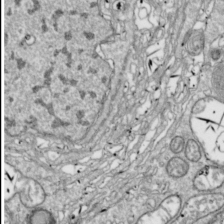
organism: Drosophila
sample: Cell division; meiosis; drosophila spermatocytes